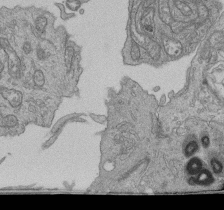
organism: Human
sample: Retinal organoid Rod and Cone cells